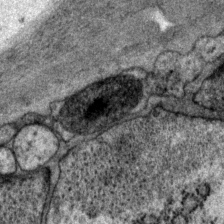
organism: P. pacificus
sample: Pharynx